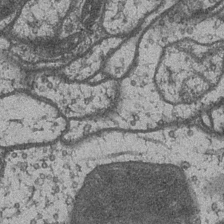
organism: Drosophila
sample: Optic medulla